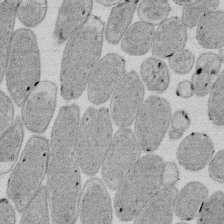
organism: E. coli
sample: Bacterial nucleoid